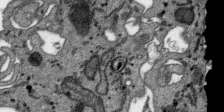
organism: Human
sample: Lung epithelial cells, uninfected (mock) control